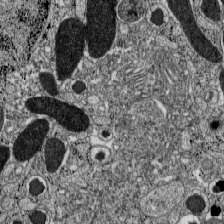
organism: C57BL Mouse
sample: Pancreatic islet